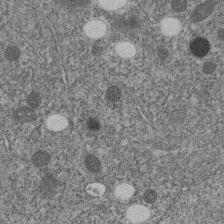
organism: C. elegans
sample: C. elegans embryo early stage